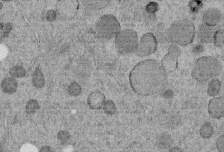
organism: C. elegans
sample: C. elegans embryo early stage